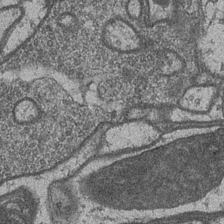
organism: Drosophila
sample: Optic medulla